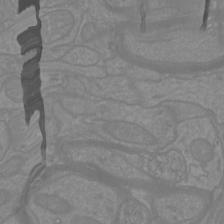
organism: Mouse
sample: Cortical neurons